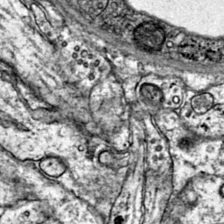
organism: Mouse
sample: Primary visual cortex